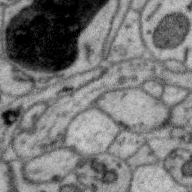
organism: Zebra finch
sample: Brain